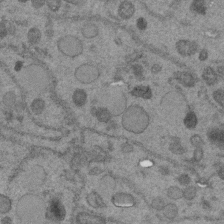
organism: C. elegans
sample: C. elegans embryo early stage